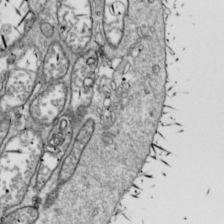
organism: Drosophila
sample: Cell division; meiosis; drosophila spermatocytes